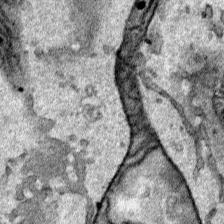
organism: Human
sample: Mitochondria in HCT116 cells